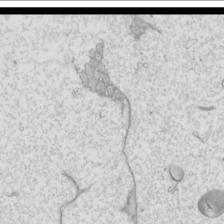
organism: Mouse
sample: Cilia; mouse epididymis